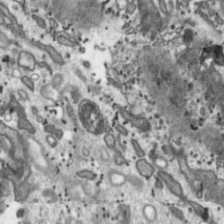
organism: Toxoplasma gondii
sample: Parasites in a vacuole inside a host cell